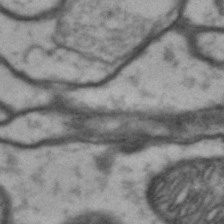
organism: Drosophila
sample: Brain